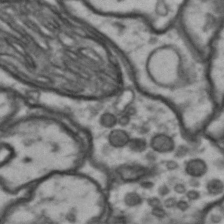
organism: Drosophila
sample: Brain